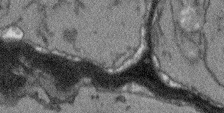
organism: Arabidopsis thaliana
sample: Root tip